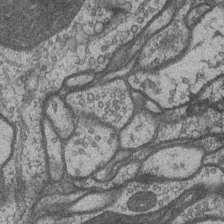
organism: Drosophila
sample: Optic medulla